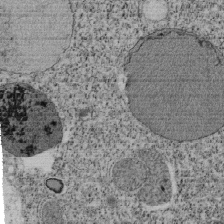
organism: Tetrahymena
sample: Cilia in tetrahymena